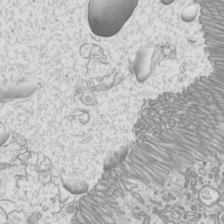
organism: Mouse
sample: Cilia; mouse epididymis